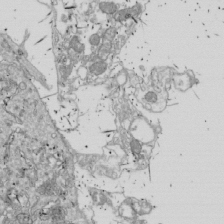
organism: Drosophila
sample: Cell division; meiosis; drosophila spermatocytes